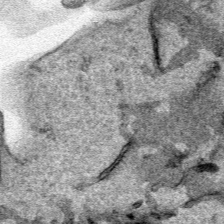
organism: Human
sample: Mitochondria in HCT116 cells